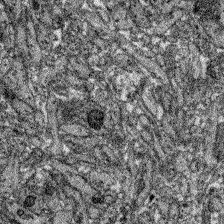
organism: Zebrafish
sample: Larval olfactory bulb